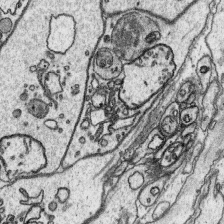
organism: Platynereis dumerilii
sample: Parapodia